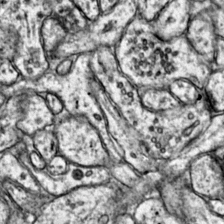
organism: Mouse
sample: Primary visual cortex